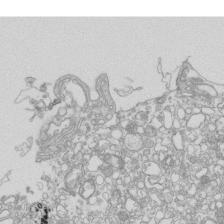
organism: Mouse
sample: Macrophages